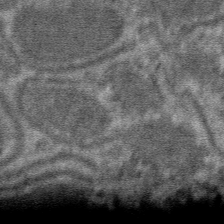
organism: Mouse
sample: Mouse hepatocytes